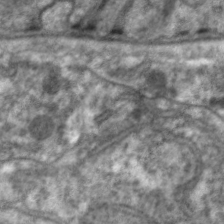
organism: C. elegans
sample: Pharynx